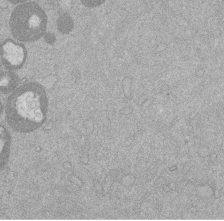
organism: Mouse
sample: Dividing mouse embryo 1 cell stage